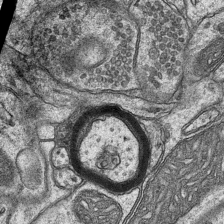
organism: Mouse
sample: CA1 Hippocampus